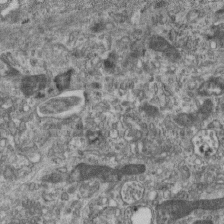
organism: Mouse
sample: Centriole in ependymal cells